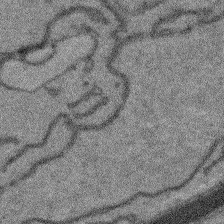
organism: Arabidopsis thaliana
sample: Root tip